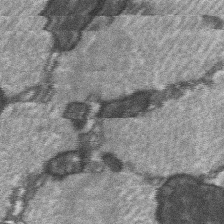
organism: C57BL Mouse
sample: Soleus